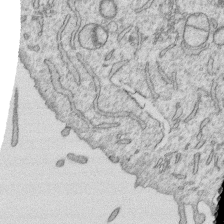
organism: Human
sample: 1205lu cells